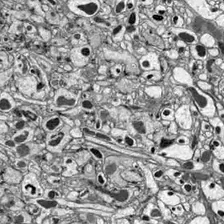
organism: Drosophila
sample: Optic lobe